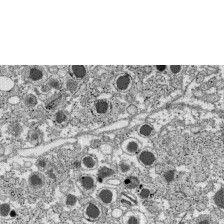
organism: C57BL Mouse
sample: Pancreatic islet